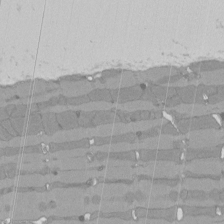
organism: Rat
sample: Left ventricle